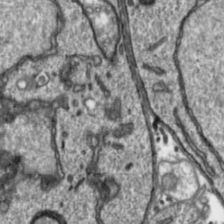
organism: Toxoplasma gondii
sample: Parasites in a vacuole inside a host cell